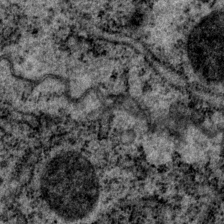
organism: P. pacificus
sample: Pharynx